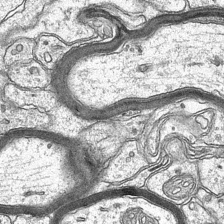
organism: Mouse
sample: CA1 Hippocampus